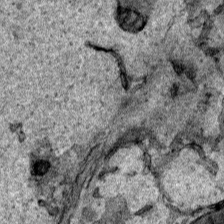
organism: Human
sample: Mitochondria in HCT116 cells